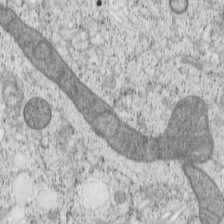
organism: African green monkey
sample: COS-7 cells